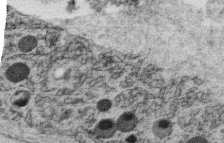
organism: C. elegans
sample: C. elegans oocyte; sperm cells